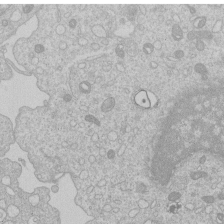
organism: Human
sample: Macrophage cells